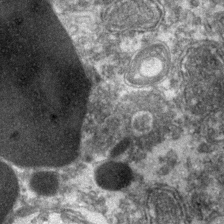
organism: Zebrafish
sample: Zebrafish embryo